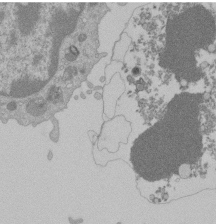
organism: Mouse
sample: Activated Pmel transgenic CD8+ T Cells